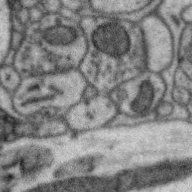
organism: Zebra finch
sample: Brain